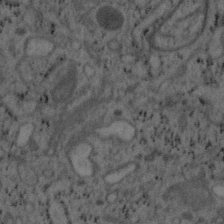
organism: Human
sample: HeLa cells